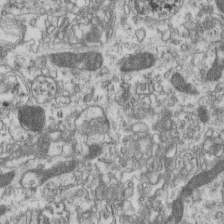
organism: Mouse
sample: Centriole in ependymal cells